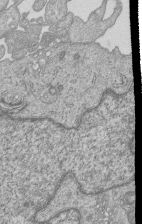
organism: Human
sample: MDA-MB-231 cells